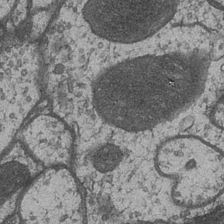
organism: Drosophila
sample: Optic medulla